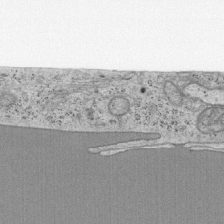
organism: Human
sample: HeLa cells